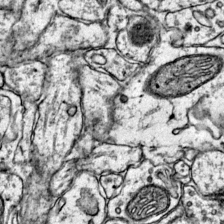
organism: Mouse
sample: Primary visual cortex